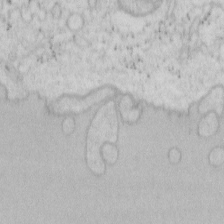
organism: Human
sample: HeLa cells